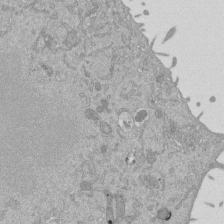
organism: Mouse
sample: ED-1 cell nuclei; centrioles